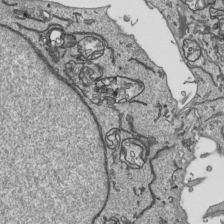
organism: Human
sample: Mitochondria in HCT116 cells